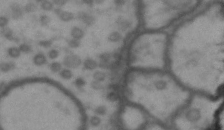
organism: Drosophila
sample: Brain